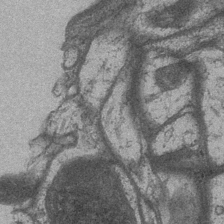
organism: Drosophila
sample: Optic medulla